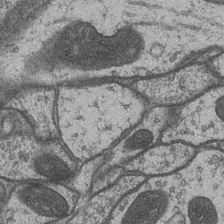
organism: Drosophila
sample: Optic medulla